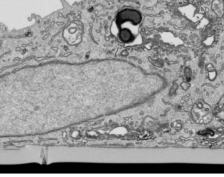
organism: Human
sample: Mitochondria in HCT116 cells